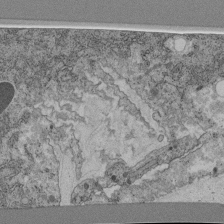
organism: C. elegans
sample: C. elegans pharynx